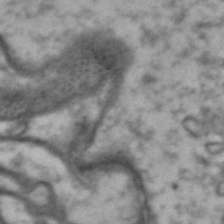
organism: Drosophila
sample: Brain